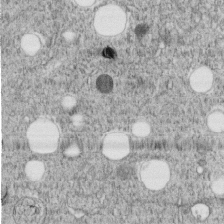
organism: C. elegans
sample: C. elegans embryo early stage